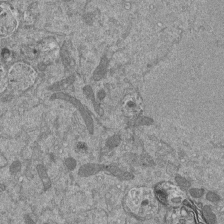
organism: Mouse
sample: ED-1 cell nuclei; centrioles